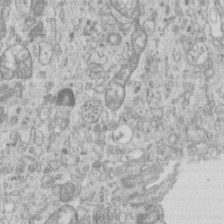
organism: Mouse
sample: Centriole in ependymal cells